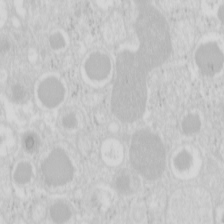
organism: Mouse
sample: Pancreas